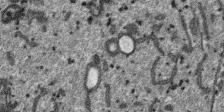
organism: Human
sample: Lung epithelial cells infected with SARS-CoV-2